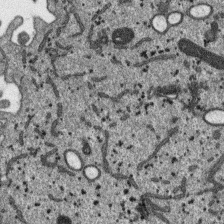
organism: Human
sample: Lung epithelial cells infected with SARS-CoV-2